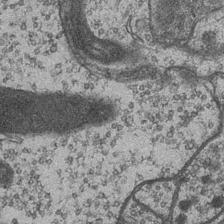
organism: Drosophila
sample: Optic medulla